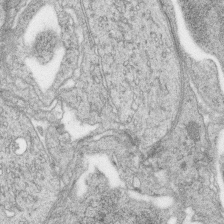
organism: Zebrafish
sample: synaptic ribbons in rod cells and cone cells